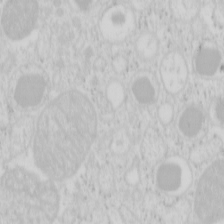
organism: Mouse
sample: Pancreas